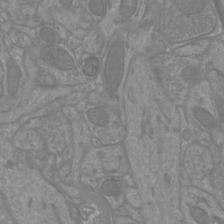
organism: Mouse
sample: Cortical neurons